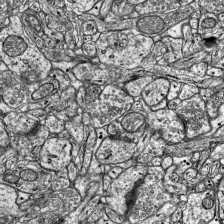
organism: Mouse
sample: Visual Cortex